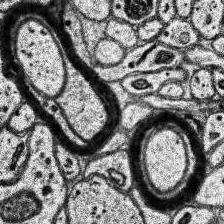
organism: Human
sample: Temporal Lobe